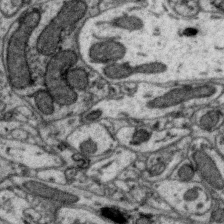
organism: Zebra finch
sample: Brain